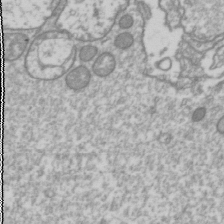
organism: Drosophila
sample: Cell division; meiosis; drosophila spermatocytes